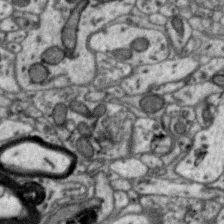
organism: Zebra finch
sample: Brain